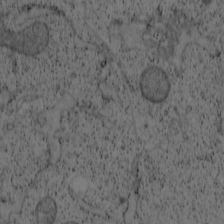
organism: African green monkey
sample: COS-7 cells